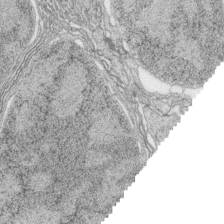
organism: Zebrafish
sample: synaptic ribbons in rod cells and cone cells